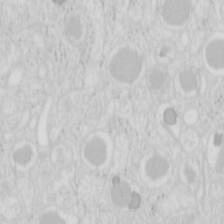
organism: Mouse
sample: Pancreas